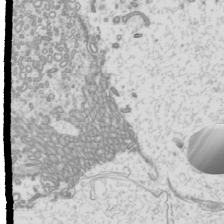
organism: Mouse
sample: Cilia; mouse epididymis